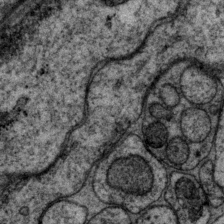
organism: P. pacificus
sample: Pharynx